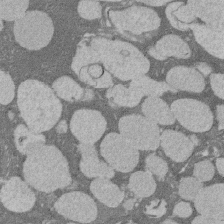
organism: Rat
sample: Salivary granule